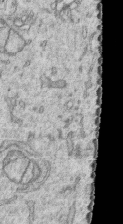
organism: Human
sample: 1205lu cells